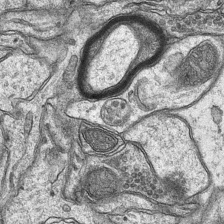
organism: Mouse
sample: CA1 Hippocampus